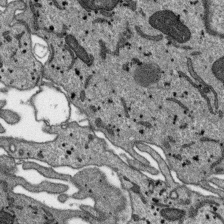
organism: Human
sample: Lung epithelial cells, uninfected (mock) control